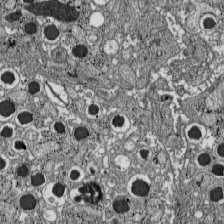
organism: C57BL Mouse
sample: Pancreatic islet